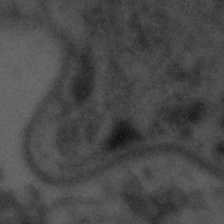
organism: Tuwongella immobilis